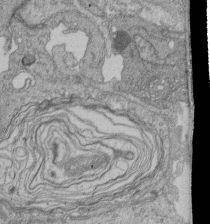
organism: Human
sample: Retinal organoid Rod and Cone cells